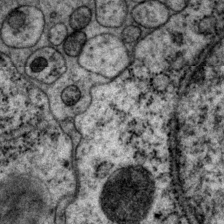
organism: P. pacificus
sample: Pharynx